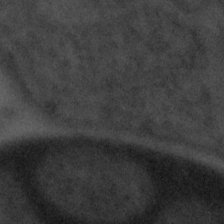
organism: Tuwongella immobilis